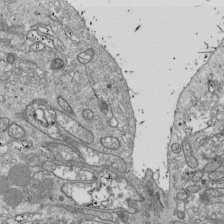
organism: Drosophila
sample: Cell division; meiosis; drosophila spermatocytes